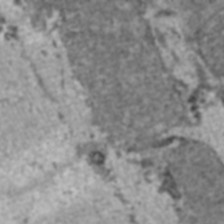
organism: C57BL Mouse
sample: Heart